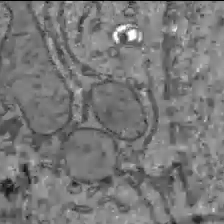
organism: C57BL Mouse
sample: Liver